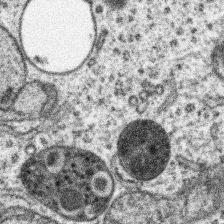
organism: Human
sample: HeLa cells